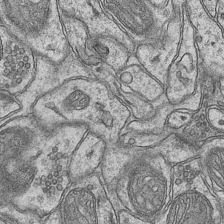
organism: Mouse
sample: CA1 Hippocampus